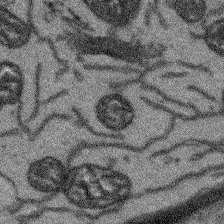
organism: Arabidopsis thaliana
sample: Root tip